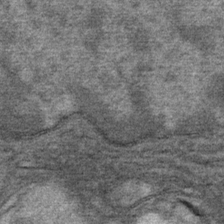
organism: Mouse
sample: Mouse Salivary gland